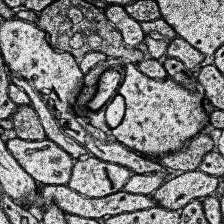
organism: Human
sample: Temporal Lobe